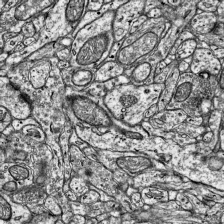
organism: Mouse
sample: Visual Cortex